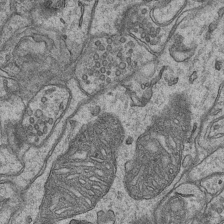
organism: Mouse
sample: CA1 Hippocampus